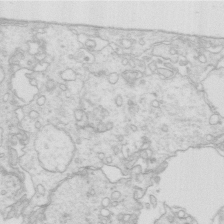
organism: Mouse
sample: Multiciliated cells